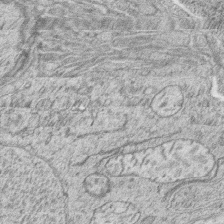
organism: Zebrafish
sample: synaptic ribbons in rod cells and cone cells